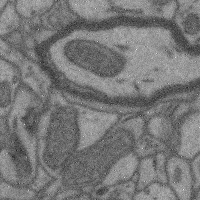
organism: Mouse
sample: Cerebral cortex